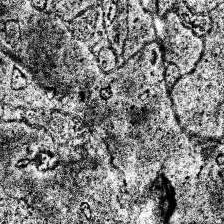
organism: Human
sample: Temporal Lobe